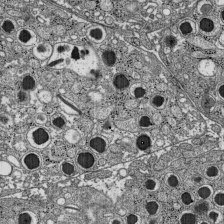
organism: C57BL Mouse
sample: Pancreatic islet